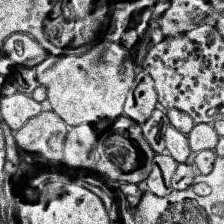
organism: Human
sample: Temporal Lobe